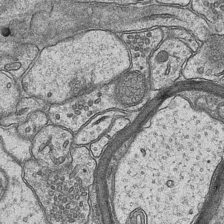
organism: Mouse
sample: CA1 Hippocampus